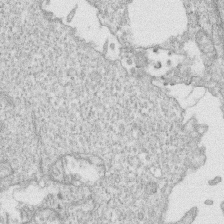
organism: Human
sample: HeLa cell HIV synapse